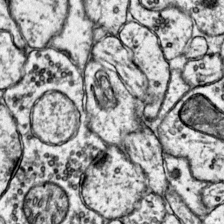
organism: Mouse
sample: Primary visual cortex